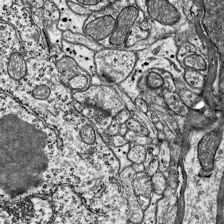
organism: Mouse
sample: Visual Cortex